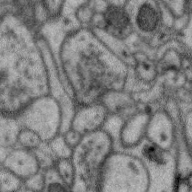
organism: Zebra finch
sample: Brain